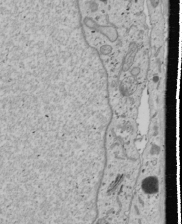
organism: Human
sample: Mitochondria in U2OS cells